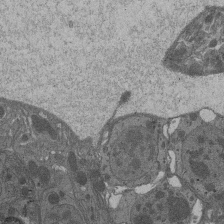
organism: Drosophila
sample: Antenna